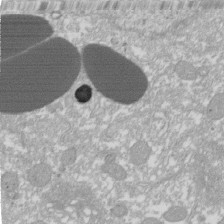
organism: Xenopus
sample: Cilia; centrioles in frog embryo cells